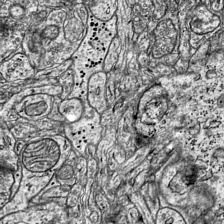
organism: Mouse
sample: Visual Cortex